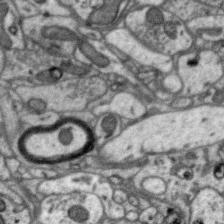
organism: Zebra finch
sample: Brain